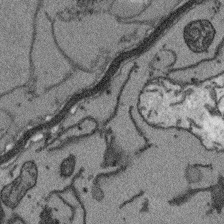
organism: Arabidopsis thaliana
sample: Root tip